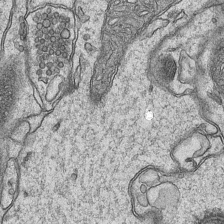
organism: Mouse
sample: CA1 Hippocampus